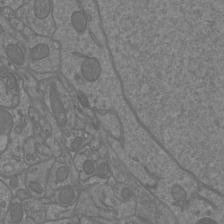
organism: Mouse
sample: Cortical neurons